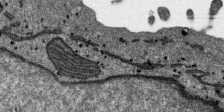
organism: Human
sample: Lung epithelial cells, uninfected (mock) control